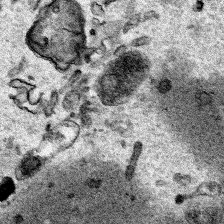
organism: Human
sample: Mitochondria in HCT116 cells